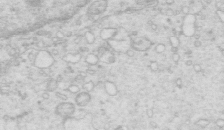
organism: Mouse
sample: Multiciliated cells